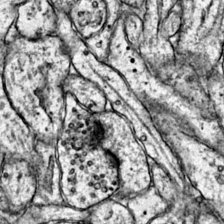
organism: Mouse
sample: Primary visual cortex